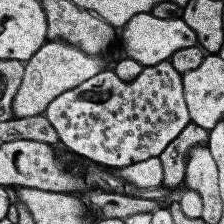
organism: Human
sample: Temporal Lobe